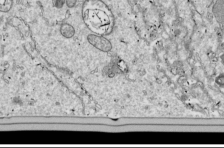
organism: Drosophila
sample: Cell division; meiosis; drosophila spermatocytes